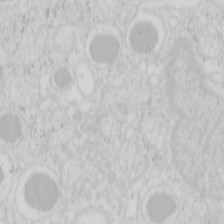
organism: Mouse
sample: Pancreas